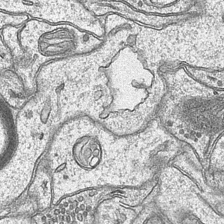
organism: Mouse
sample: CA1 Hippocampus